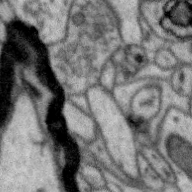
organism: Zebra finch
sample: Brain